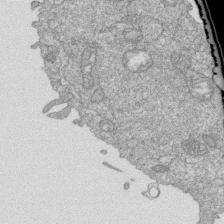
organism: Human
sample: HeLa cell HIV synapse